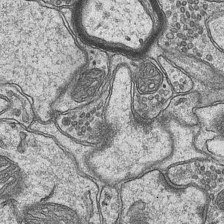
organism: Mouse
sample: CA1 Hippocampus